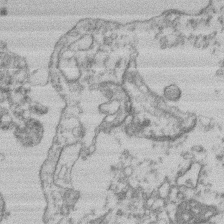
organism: Mouse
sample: T cell stromal cell synapse